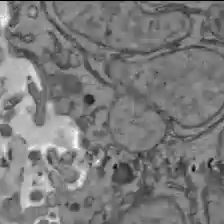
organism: C57BL Mouse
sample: Liver